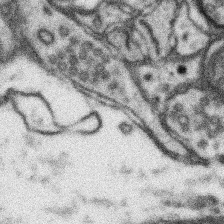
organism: Mouse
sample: Somatosensory cortex neuropil